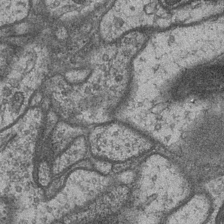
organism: Drosophila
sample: Optic medulla